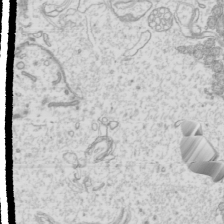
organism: Mouse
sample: Cilia; mouse epididymis